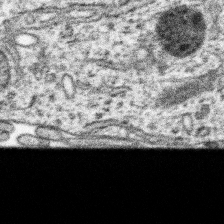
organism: Human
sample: HeLa cells